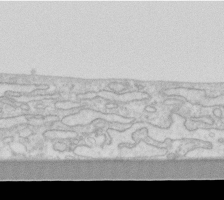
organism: Human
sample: Fibroblast cells